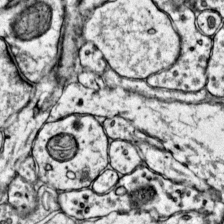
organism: Mouse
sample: Primary visual cortex